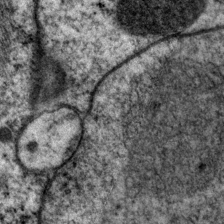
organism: P. pacificus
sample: Pharynx